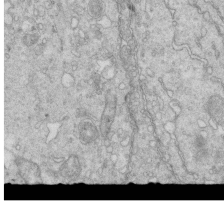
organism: Mouse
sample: Multiciliated cells